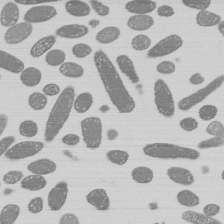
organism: E. coli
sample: Bacterial nucleoid